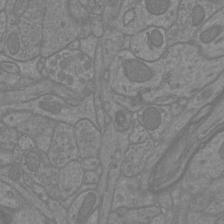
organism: Mouse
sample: Cortical neurons